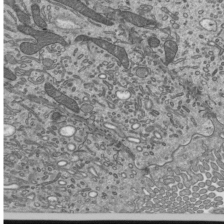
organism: Mouse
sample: Mouse epididymis efferent ductule cilia